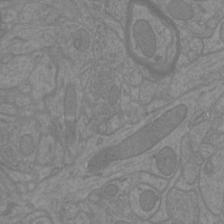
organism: Mouse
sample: Cortical neurons